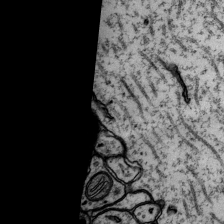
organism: Rat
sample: Hippocampus